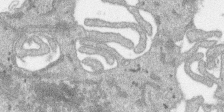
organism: Human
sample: Lung epithelial cells infected with SARS-CoV-2